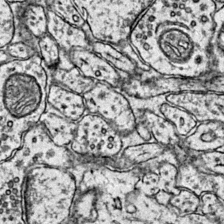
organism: Mouse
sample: Primary visual cortex